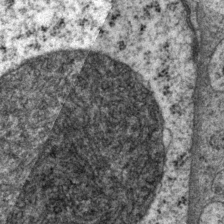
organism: P. pacificus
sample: Pharynx